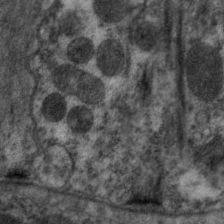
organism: C. elegans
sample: Pharynx